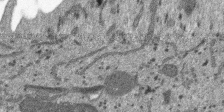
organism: Human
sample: Lung epithelial cells infected with SARS-CoV-2